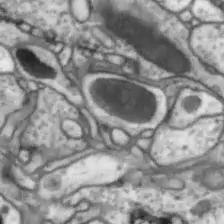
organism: Drosophila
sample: Optic lobe